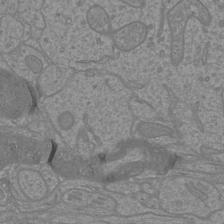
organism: Mouse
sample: Cortical neurons